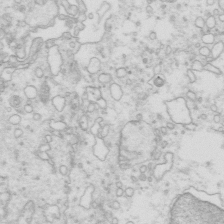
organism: Mouse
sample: Multiciliated cells